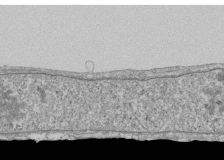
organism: Human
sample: Fibroblast cells